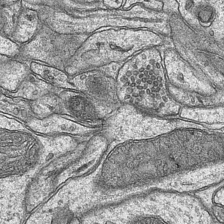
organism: Mouse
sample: CA1 Hippocampus